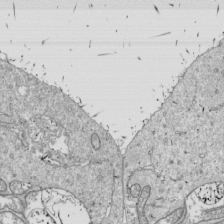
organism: Drosophila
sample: Cell division; meiosis; drosophila spermatocytes